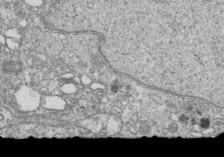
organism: Human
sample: HeLa cell HIV synapse